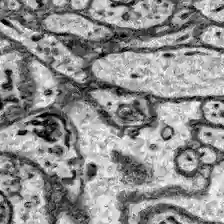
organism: Zebrafish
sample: Brain